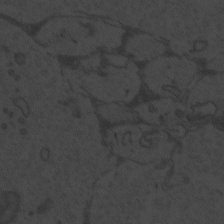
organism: Zebrafish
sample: Macrophage infected with Toxoplasma gondii